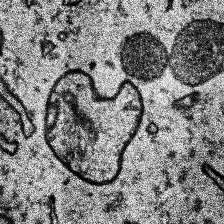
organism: Human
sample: Temporal Lobe